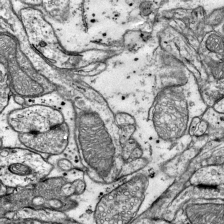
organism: Mouse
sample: Visual Cortex